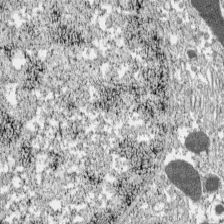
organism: C57BL Mouse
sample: Pancreatic islet